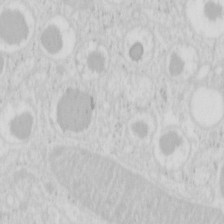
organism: Mouse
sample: Pancreas